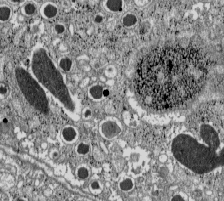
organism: C57BL Mouse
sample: Pancreatic islet